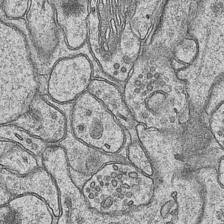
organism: Mouse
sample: CA1 Hippocampus